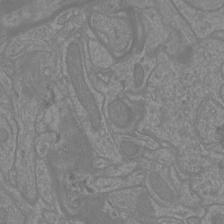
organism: Mouse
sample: Cortical neurons